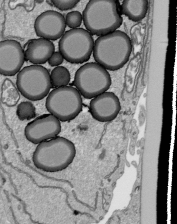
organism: Human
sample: Mitochondria in HCT116 cells